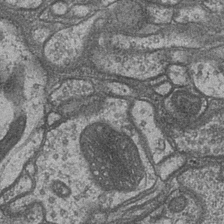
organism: Drosophila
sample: Optic medulla